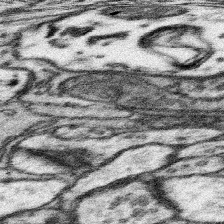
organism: Mouse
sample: Somatosensory cortex neuropil